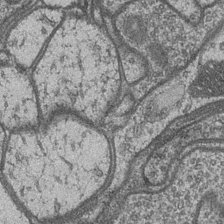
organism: Drosophila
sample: Optic medulla